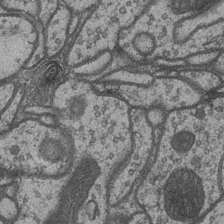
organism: Drosophila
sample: Optic medulla